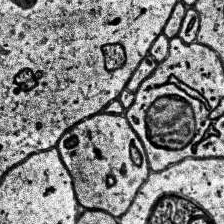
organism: Human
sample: Temporal Lobe